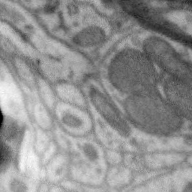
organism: Zebra finch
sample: Brain